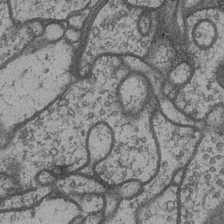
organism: Drosophila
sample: Optic medulla